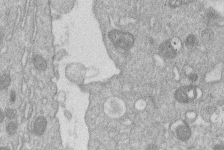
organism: Human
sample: Macrophage cells